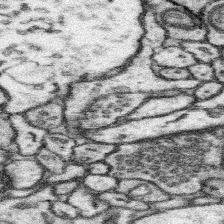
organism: Mouse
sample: Somatosensory cortex neuropil